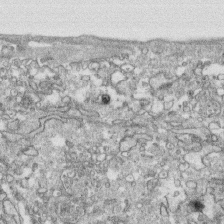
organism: Human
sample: CRL-1474